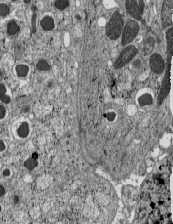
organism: C57BL Mouse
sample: Pancreatic islet